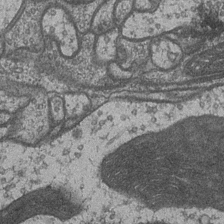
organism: Drosophila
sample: Optic medulla